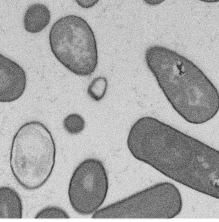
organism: B. subtilis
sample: Bacterial spore